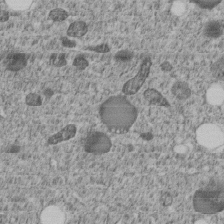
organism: C. elegans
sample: C. elegans embryo early stage